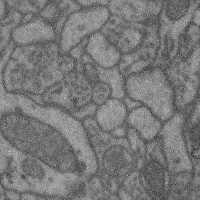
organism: Mouse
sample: Cerebral cortex